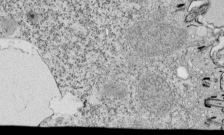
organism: Tetrahymena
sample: Cilia in tetrahymena